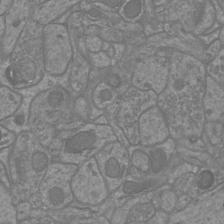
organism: Mouse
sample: Cortical neurons